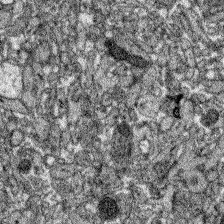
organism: Zebrafish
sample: Larval olfactory bulb